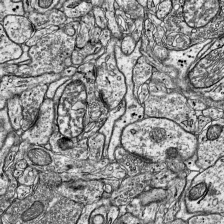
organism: Mouse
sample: Visual Cortex